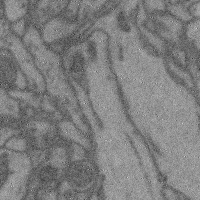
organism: Mouse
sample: Cerebral cortex